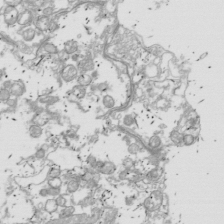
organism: Drosophila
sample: Cell division; meiosis; drosophila spermatocytes